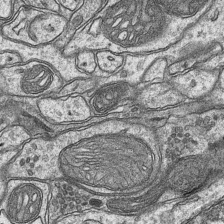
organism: Mouse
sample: CA1 Hippocampus